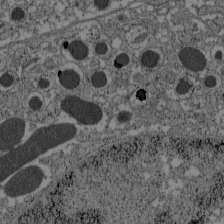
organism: C57BL Mouse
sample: Pancreatic islet